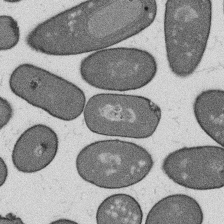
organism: B. subtilis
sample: Bacterial spore